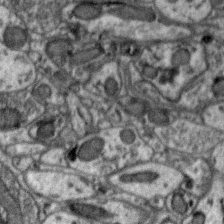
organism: Zebra finch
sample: Brain